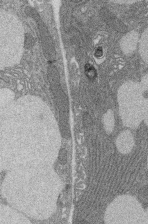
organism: Rat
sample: Salivary granule